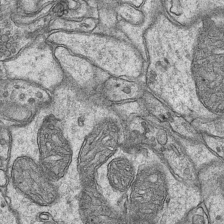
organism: Mouse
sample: CA1 Hippocampus